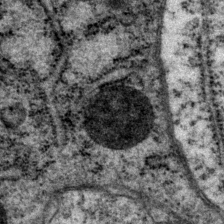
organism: P. pacificus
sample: Pharynx